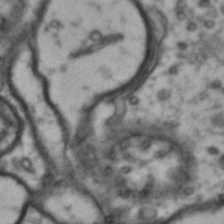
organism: Drosophila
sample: Brain